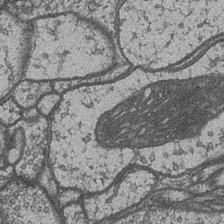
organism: Drosophila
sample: Optic medulla